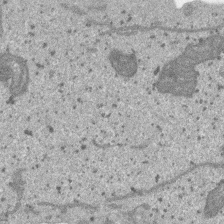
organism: Human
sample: Lung epithelial cells infected with SARS-CoV-2